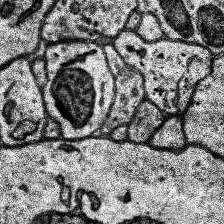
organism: Human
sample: Temporal Lobe